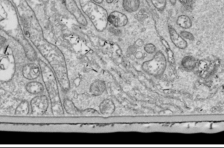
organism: Drosophila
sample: Cell division; meiosis; drosophila spermatocytes